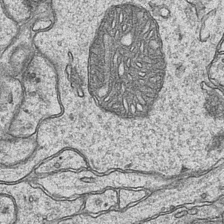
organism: Mouse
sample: CA1 Hippocampus